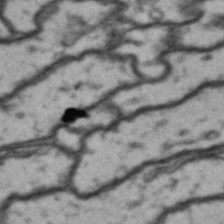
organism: Drosophila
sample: Brain